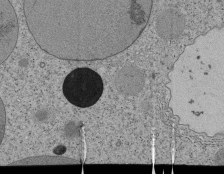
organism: Tetrahymena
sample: Cilia in tetrahymena